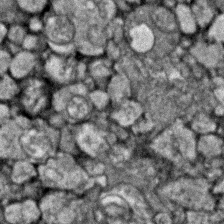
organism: Zebrafish